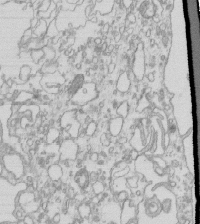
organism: Mouse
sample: Macrophages